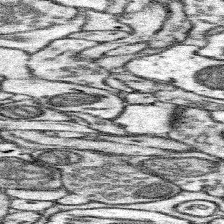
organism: Mouse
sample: Somatosensory cortex neuropil